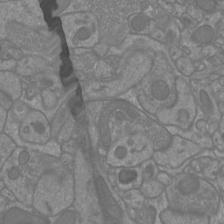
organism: Mouse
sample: Cortical neurons